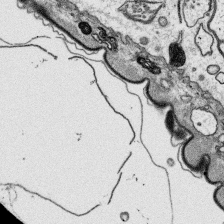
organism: Platynereis dumerilii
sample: Parapodia